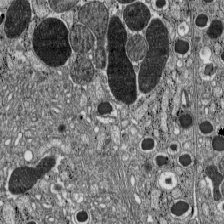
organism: C57BL Mouse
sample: Pancreatic islet